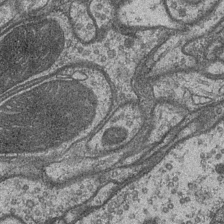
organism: Drosophila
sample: Optic medulla